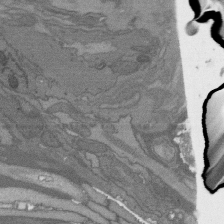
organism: C. elegans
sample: AFD neurons C. elegans